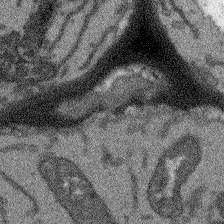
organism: Arabidopsis thaliana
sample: Root tip